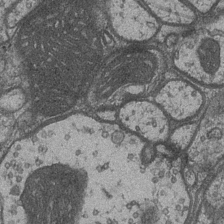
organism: Drosophila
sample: Optic medulla